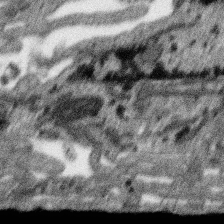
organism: Human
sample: Lung epithelial cells infected with SARS-CoV-2